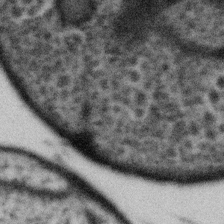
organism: Gemmata obscuriglobus